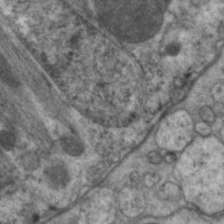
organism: C. elegans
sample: Pharynx